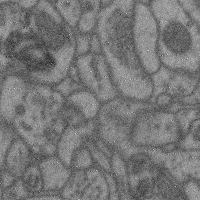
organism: Mouse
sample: Cerebral cortex